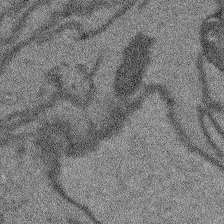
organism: Arabidopsis thaliana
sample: Root tip